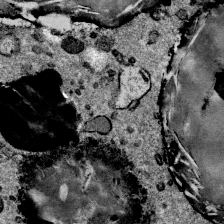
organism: Mouse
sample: Mouse Salivary gland